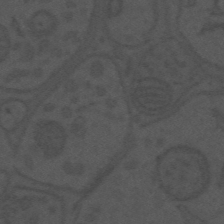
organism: Mouse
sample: Suprachiasmatic nucleus